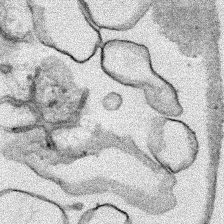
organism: Human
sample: Mitochondria in HCT116 cells